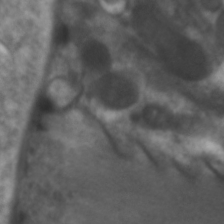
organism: C. elegans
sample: Pharynx